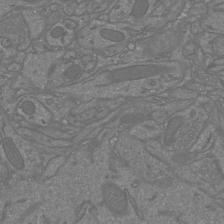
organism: Mouse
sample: Cortical neurons